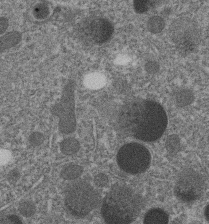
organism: C. elegans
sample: C. elegans embryo early stage